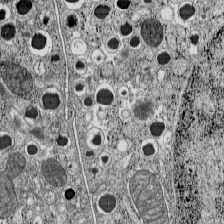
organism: C57BL Mouse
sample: Pancreatic islet